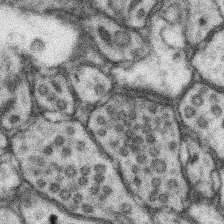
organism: Mouse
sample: Somatosensory cortex neuropil